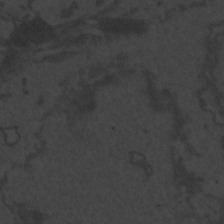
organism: Zebrafish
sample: Macrophage infected with Toxoplasma gondii